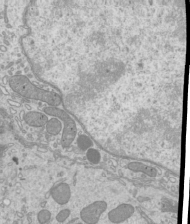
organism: Mouse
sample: Cilia; mouse epididymis